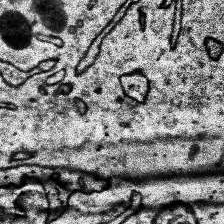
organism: Human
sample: Temporal Lobe